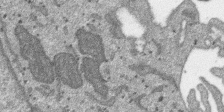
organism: Human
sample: Lung epithelial cells infected with SARS-CoV-2